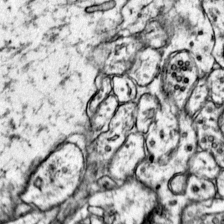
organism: Mouse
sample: Primary visual cortex